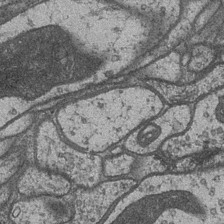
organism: Drosophila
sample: Optic medulla